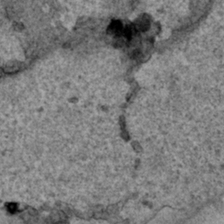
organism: Human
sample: Mitochondria in HCT116 cells